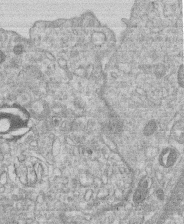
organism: Human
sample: Macrophage cells